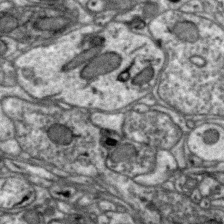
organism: Zebra finch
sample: Brain